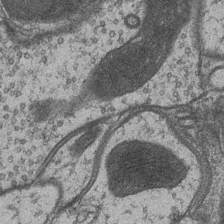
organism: Drosophila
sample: Optic medulla